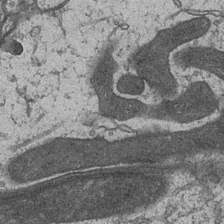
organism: Drosophila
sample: Optic medulla